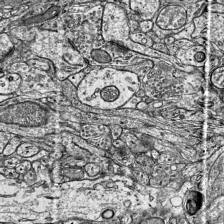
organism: Mouse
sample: Visual Cortex